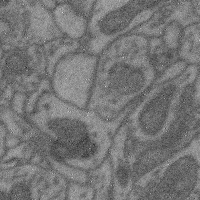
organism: Mouse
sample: Cerebral cortex